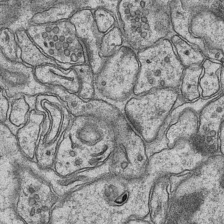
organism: Mouse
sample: CA1 Hippocampus